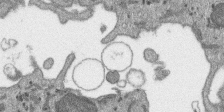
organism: Human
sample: Lung epithelial cells infected with SARS-CoV-2